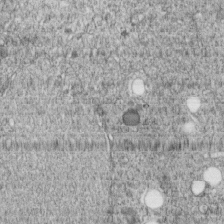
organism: C. elegans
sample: C. elegans embryo early stage